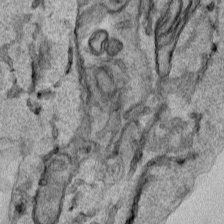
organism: Human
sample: Mitochondria in HCT116 cells